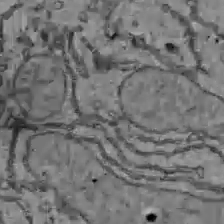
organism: C57BL Mouse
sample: Liver